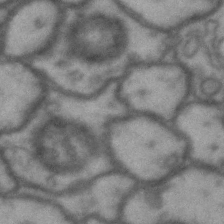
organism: Drosophila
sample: Brain